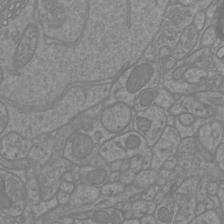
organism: Mouse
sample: Cortical neurons